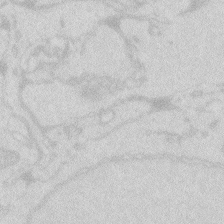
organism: Zebrafish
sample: Macrophage